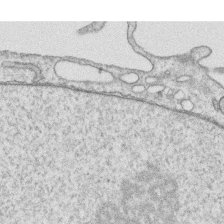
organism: Human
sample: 1205lu cells